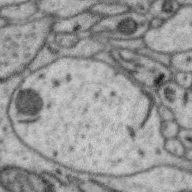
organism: Zebra finch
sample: Brain